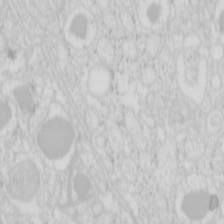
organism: Mouse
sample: Pancreas